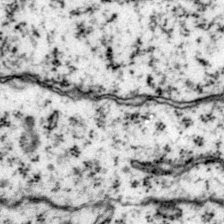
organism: Mouse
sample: Primary visual cortex